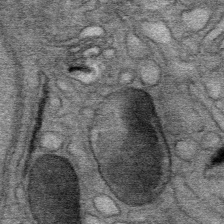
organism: Mouse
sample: Mouse Salivary gland